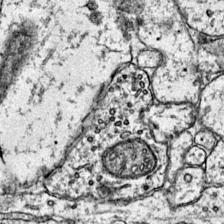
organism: Mouse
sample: Primary visual cortex